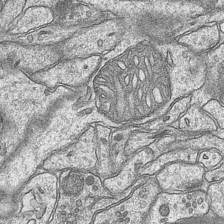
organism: Mouse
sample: CA1 Hippocampus